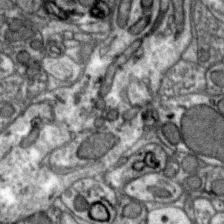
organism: Zebra finch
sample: Brain